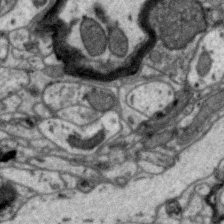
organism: Zebra finch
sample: Brain